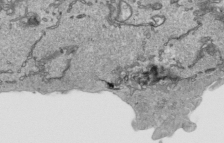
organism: Human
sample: Mitochondria in HCT116 cells